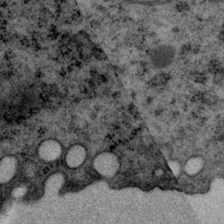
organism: P. pacificus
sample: Pharynx